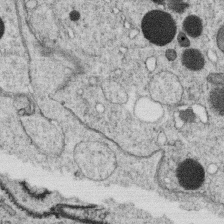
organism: C. elegans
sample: C. elegans oocyte; sperm cells